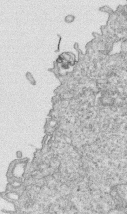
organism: Human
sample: HeLa cell HIV synapse